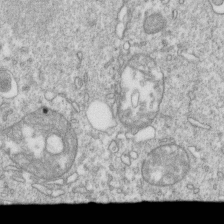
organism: Mouse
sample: Activated OT-1 CD8+ T cells